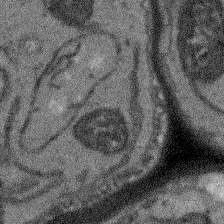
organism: Arabidopsis thaliana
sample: Root tip